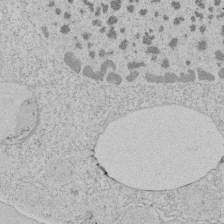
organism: Tetrahymena